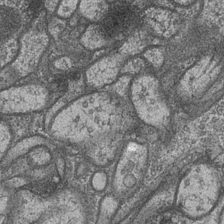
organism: Drosophila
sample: Optic medulla